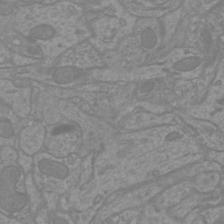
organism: Mouse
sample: Cortical neurons